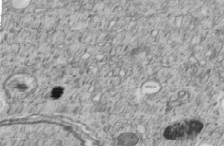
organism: C. elegans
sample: C. elegans embryo early stage